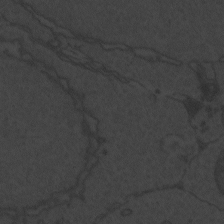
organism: Zebrafish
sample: Macrophage infected with Toxoplasma gondii